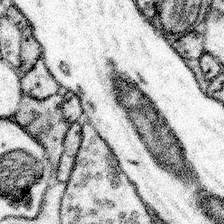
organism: Mouse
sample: Somatosensory cortex neuropil